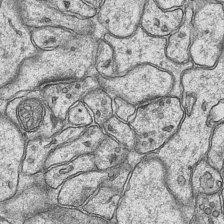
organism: Mouse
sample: CA1 Hippocampus